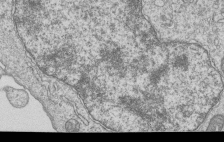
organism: Human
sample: MDA-MB-231 cells